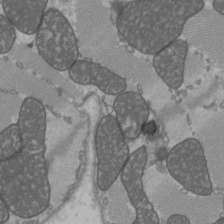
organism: C57BL Mouse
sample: Heart